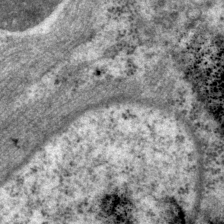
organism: P. pacificus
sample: Pharynx